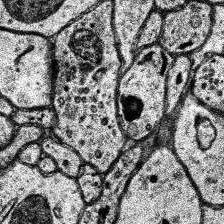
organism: Human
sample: Temporal Lobe